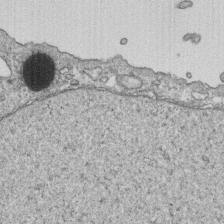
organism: Human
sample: HeLa cell HIV synapse